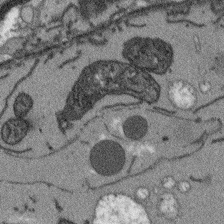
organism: Arabidopsis thaliana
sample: Root tip